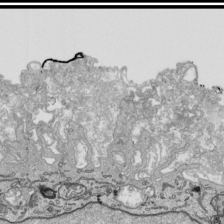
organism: Human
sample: Mitochondria in HCT116 cells